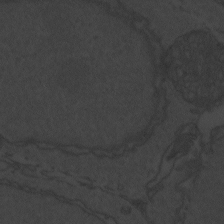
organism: Zebrafish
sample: Macrophage infected with Toxoplasma gondii